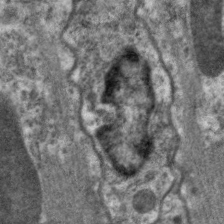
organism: C. elegans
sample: Pharynx